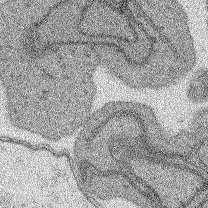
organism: Human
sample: HeLa cells